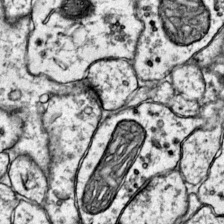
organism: Mouse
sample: Primary visual cortex